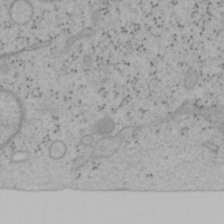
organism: Human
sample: HeLa cells